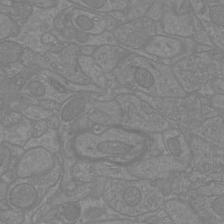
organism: Mouse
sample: Cortical neurons